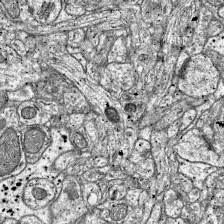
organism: Mouse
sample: Visual Cortex